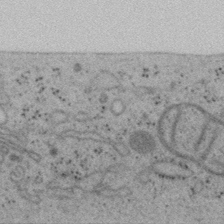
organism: Human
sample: HeLa cells